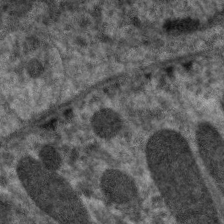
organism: C. elegans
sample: Pharynx